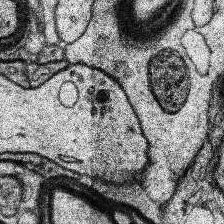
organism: Human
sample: Temporal Lobe